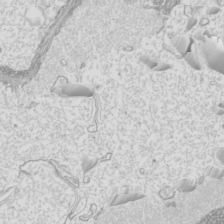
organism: Mouse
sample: Cilia; mouse epididymis